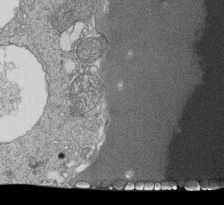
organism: Tetrahymena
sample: Cilia in tetrahymena